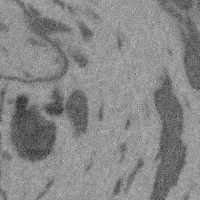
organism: Mouse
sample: Cerebral cortex